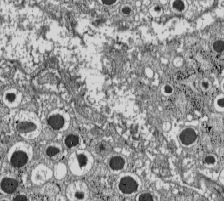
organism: C57BL Mouse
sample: Pancreatic islet